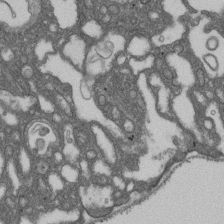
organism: Drosophila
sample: Nephrocyte